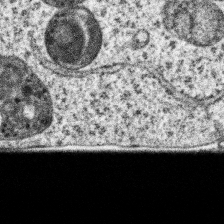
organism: Human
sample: HeLa cells